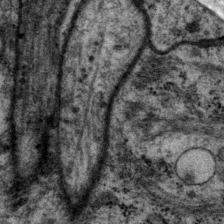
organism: P. pacificus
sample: Pharynx